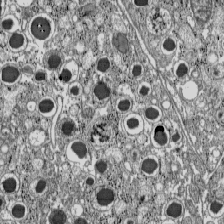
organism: C57BL Mouse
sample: Pancreatic islet